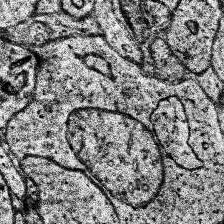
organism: Human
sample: Temporal Lobe